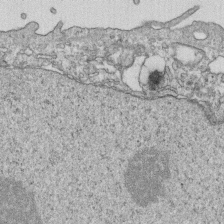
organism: Human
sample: HeLa cell HIV synapse